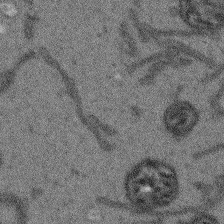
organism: Arabidopsis thaliana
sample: Root tip